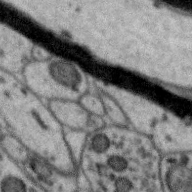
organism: Zebra finch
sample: Brain